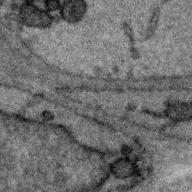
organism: Zebra finch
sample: Brain